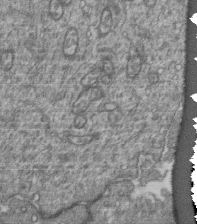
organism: Human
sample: Retinal organoid Rod and Cone cells